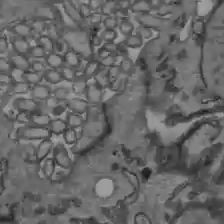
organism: C57BL Mouse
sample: Liver